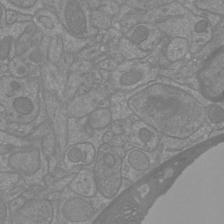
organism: Mouse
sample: Cortical neurons